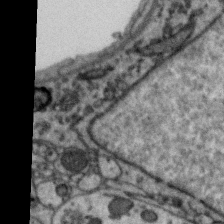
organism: Zebra finch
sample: Brain